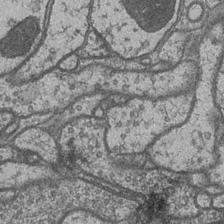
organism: Drosophila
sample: Optic medulla